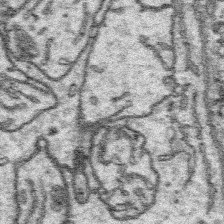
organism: Platynereis dumerilii